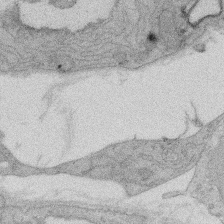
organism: Rat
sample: Salivary granule